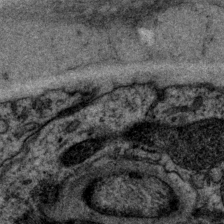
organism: P. pacificus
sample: Pharynx